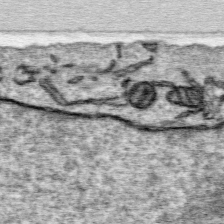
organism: Human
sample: HeLa cells